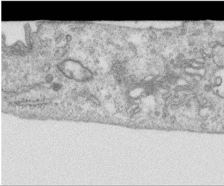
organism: Human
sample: Centriole in RPE cells